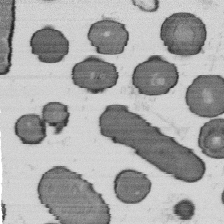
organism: B. subtilis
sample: Bacterial spore